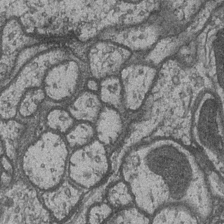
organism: Drosophila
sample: Optic medulla